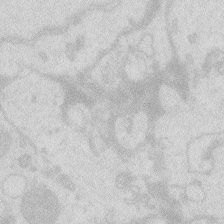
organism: Zebrafish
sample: Macrophage